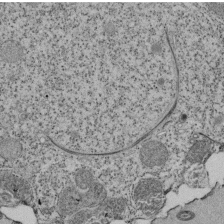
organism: Tetrahymena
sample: Cilia in tetrahymena